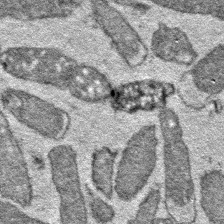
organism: E. coli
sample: E. Coli Bacteria